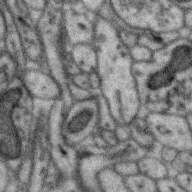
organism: Zebra finch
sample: Brain